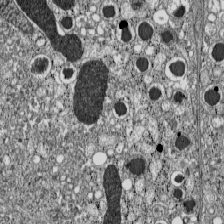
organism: C57BL Mouse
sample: Pancreatic islet